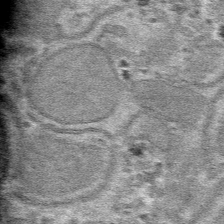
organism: Mouse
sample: Mouse hepatocytes